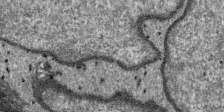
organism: Human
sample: Lung epithelial cells, uninfected (mock) control